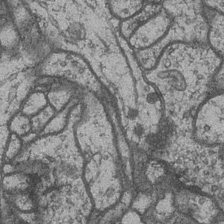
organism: Drosophila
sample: Optic medulla